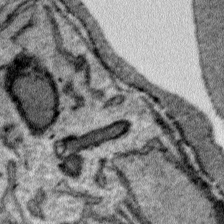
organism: Plasmodium falciparum